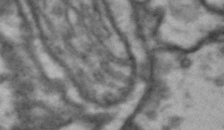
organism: Drosophila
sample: Brain